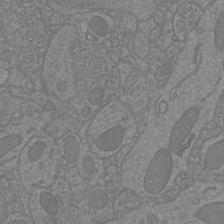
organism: Mouse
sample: Cortical neurons